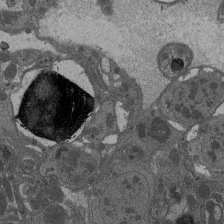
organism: Drosophila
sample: Antenna